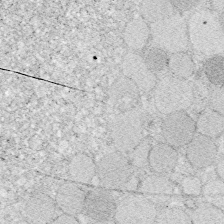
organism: Zebrafish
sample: Whole-Brain